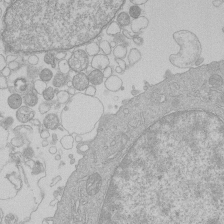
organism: Human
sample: Macrophage cells